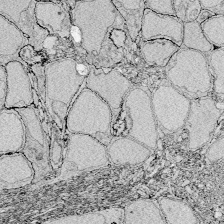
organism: Zebrafish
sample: Whole-Brain